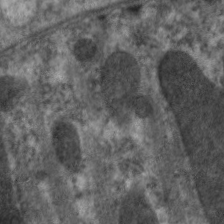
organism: C. elegans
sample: Pharynx